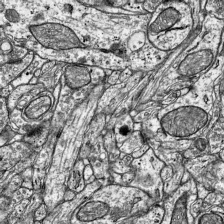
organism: Mouse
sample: Visual Cortex